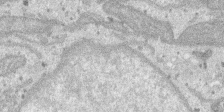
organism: Human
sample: Lung epithelial cells infected with SARS-CoV-2